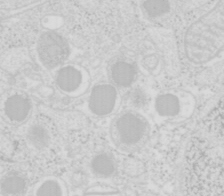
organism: Mouse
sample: Pancreas